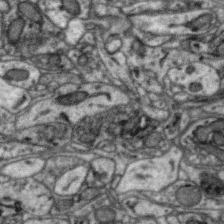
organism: Zebra finch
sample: Brain